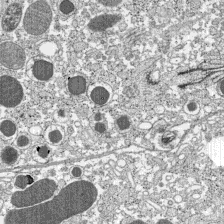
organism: C57BL Mouse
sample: Pancreatic islet